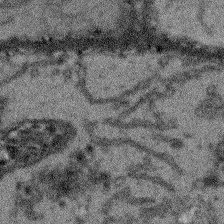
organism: Arabidopsis thaliana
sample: Root tip